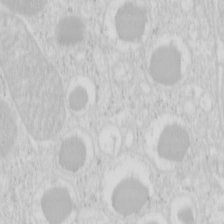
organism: Mouse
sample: Pancreas